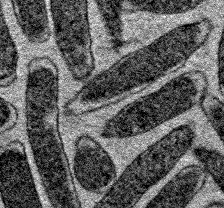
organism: E. coli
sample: E. Coli Bacteria